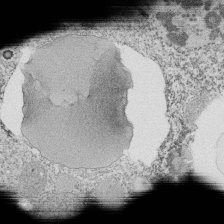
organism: Tetrahymena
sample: Cilia in tetrahymena